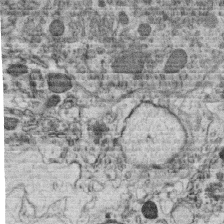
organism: C. elegans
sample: C. elegans oocyte; sperm cells